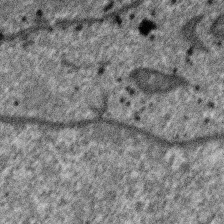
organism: Human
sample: Lung epithelial cells infected with SARS-CoV-2